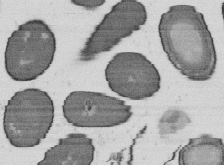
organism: B. subtilis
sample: Bacterial spore